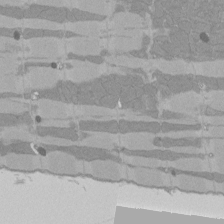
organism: Rat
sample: Left ventricle